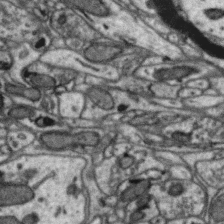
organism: Zebra finch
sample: Brain